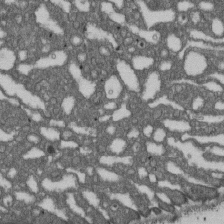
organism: Drosophila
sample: Nephrocyte